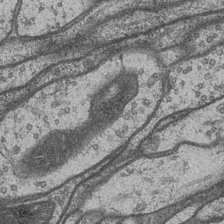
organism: Drosophila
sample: Optic medulla